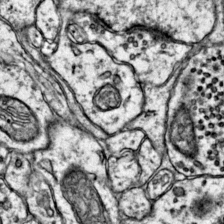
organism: Mouse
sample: Primary visual cortex